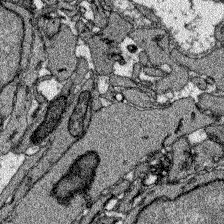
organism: Zebrafish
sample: Larval olfactory bulb